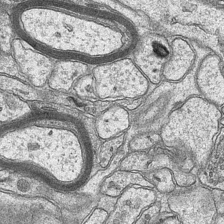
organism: Mouse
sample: CA1 Hippocampus